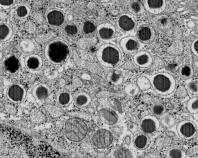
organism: C57BL Mouse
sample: Pancreatic islet